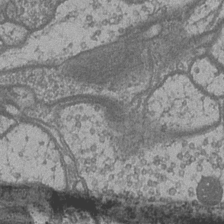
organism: Drosophila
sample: Optic medulla